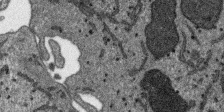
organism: Human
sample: Lung epithelial cells infected with SARS-CoV-2